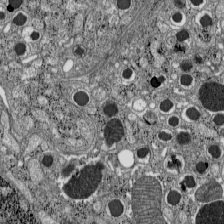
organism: C57BL Mouse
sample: Pancreatic islet